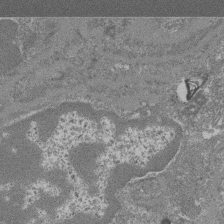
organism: Mouse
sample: Glomerulus